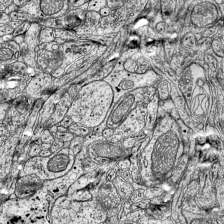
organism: Mouse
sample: Visual Cortex